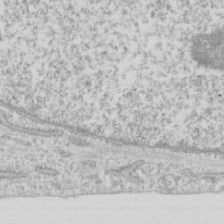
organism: Human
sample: Fibroblast cells